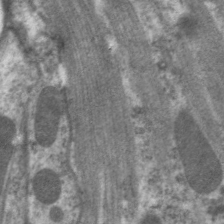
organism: C. elegans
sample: Pharynx